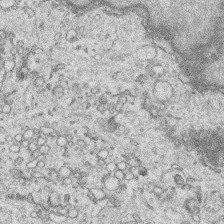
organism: Human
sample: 1205lu cells